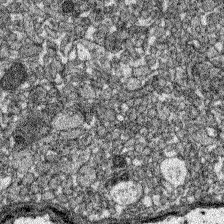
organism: Zebrafish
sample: Larval olfactory bulb